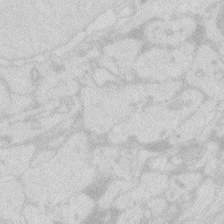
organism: Zebrafish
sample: Macrophage